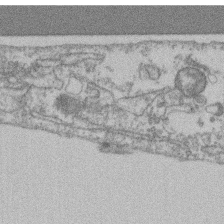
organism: Mouse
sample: T cell stromal cell synapse